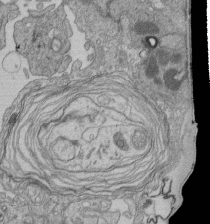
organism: Human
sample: Retinal organoid Rod and Cone cells